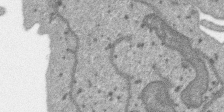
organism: Human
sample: Lung epithelial cells infected with SARS-CoV-2